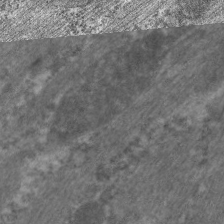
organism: C. elegans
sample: Pharynx